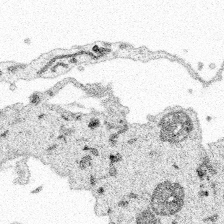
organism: Spongilla lacustris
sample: Multiple